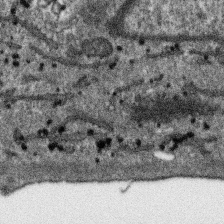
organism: Human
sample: Lung epithelial cells infected with SARS-CoV-2